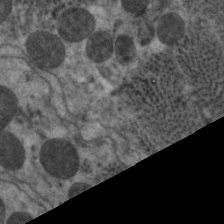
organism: C. elegans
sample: Pharynx